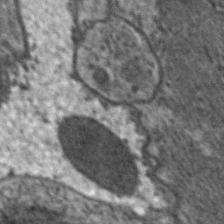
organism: C. elegans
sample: Pharynx